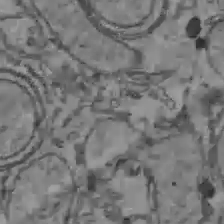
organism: C57BL Mouse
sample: Liver